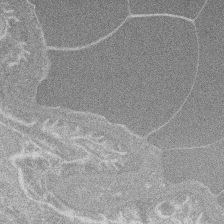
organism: Mouse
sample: Glomerulus